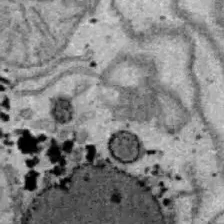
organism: Mouse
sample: Liver from an obese (ob/ob) mouse